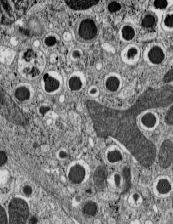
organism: C57BL Mouse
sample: Pancreatic islet